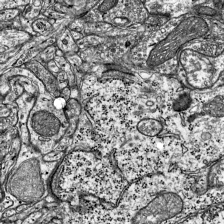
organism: Mouse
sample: Visual Cortex